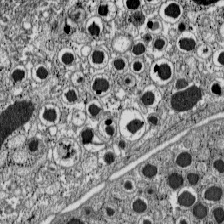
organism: C57BL Mouse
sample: Pancreatic islet